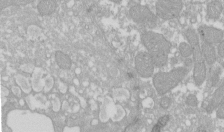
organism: Xenopus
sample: Cilia; centrioles in frog embryo cells